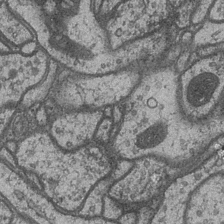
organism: Drosophila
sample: Optic medulla